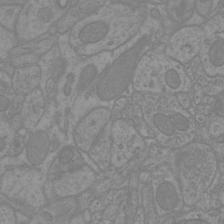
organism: Mouse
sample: Cortical neurons